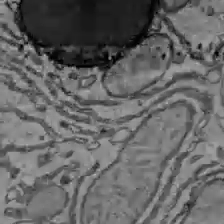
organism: C57BL Mouse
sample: Liver